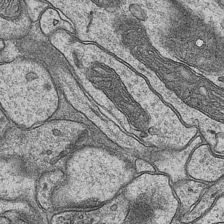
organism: Mouse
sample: CA1 Hippocampus